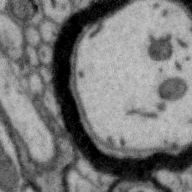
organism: Zebra finch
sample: Brain